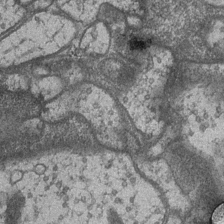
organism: Drosophila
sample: Optic medulla